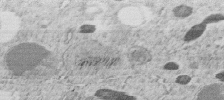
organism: C. elegans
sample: C. elegans embryo early stage